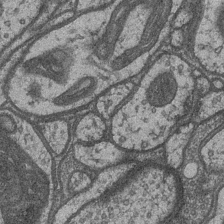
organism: Drosophila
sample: Optic medulla